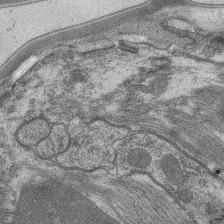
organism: C. elegans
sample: Pharynx